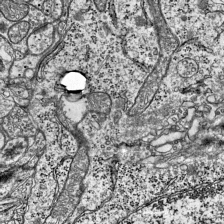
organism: Mouse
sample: Visual Cortex